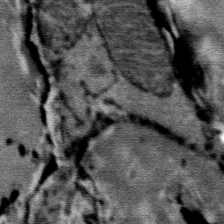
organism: Mouse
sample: Mouse Salivary gland